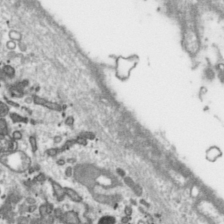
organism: Toxoplasma gondii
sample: Parasites in a vacuole inside a host cell